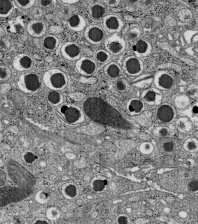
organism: C57BL Mouse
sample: Pancreatic islet